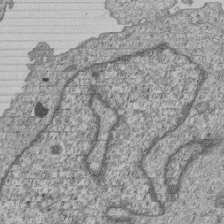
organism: Human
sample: MDA-MB-231 cells